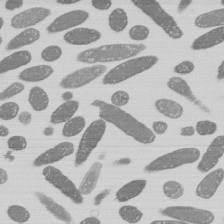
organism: E. coli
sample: Bacterial nucleoid